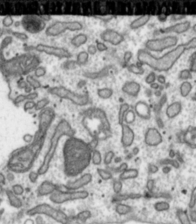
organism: Toxoplasma gondii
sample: Parasites in a vacuole inside a host cell